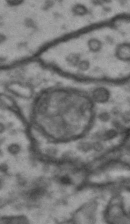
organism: Drosophila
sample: Brain